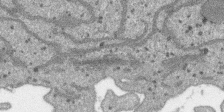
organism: Human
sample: Lung epithelial cells infected with SARS-CoV-2